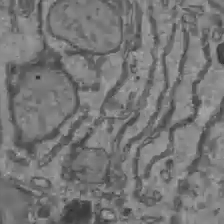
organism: C57BL Mouse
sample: Liver